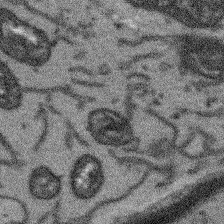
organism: Arabidopsis thaliana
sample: Root tip